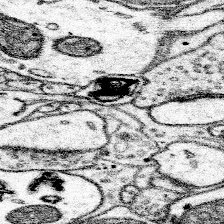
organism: Mouse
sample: Somatosensory cortex neuropil